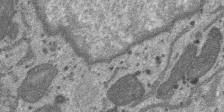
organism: Human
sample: Lung epithelial cells infected with SARS-CoV-2